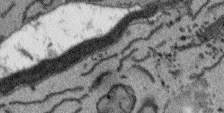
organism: Arabidopsis thaliana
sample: Root tip